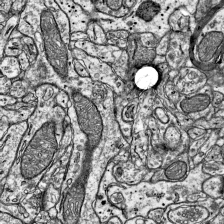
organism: Mouse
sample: Visual Cortex